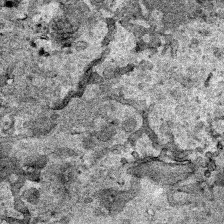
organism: Human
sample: Mitochondria in HCT116 cells